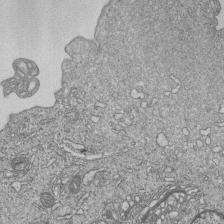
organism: Human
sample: MDA-MB-231 cells